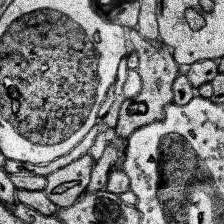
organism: Human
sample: Temporal Lobe